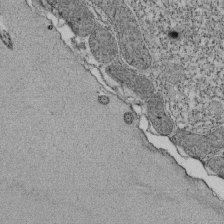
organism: Tetrahymena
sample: Cilia in tetrahymena